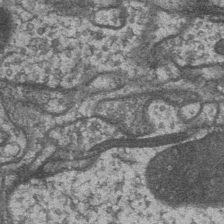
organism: Drosophila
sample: Optic medulla